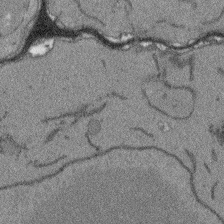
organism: Arabidopsis thaliana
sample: Root tip